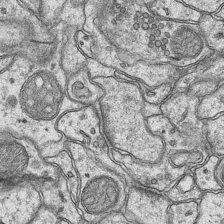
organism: Mouse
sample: CA1 Hippocampus